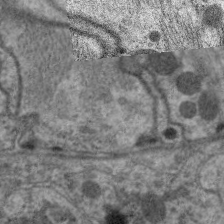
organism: C. elegans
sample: Pharynx